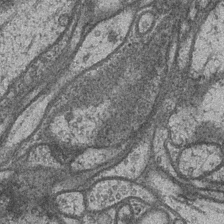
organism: Drosophila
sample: Optic medulla